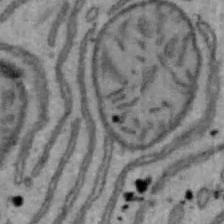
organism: Mouse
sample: Liver